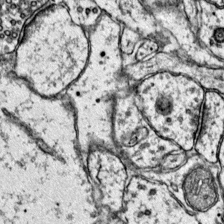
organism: Mouse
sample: Primary visual cortex